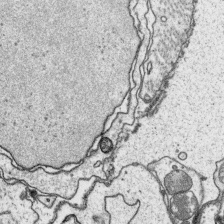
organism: Platynereis dumerilii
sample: Parapodia